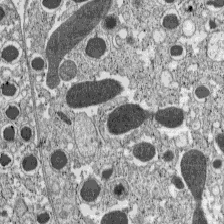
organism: C57BL Mouse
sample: Pancreatic islet